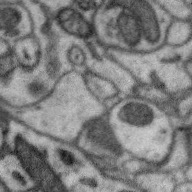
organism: Zebra finch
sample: Brain